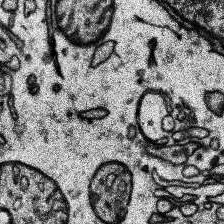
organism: Human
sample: Temporal Lobe